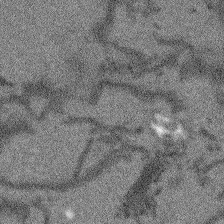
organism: Arabidopsis thaliana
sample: Root tip